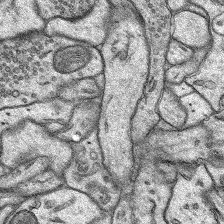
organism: Rat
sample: Hippocampus